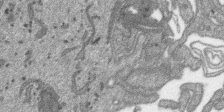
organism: Human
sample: Lung epithelial cells infected with SARS-CoV-2